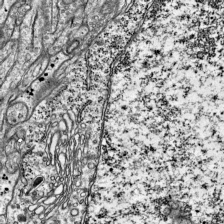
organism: Mouse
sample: Visual Cortex